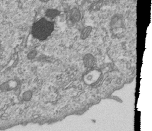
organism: Human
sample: MDA-MB-231 cells